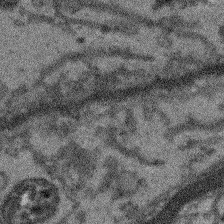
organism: Arabidopsis thaliana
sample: Root tip